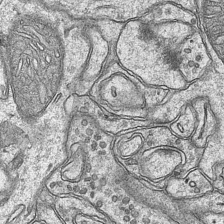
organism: Mouse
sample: CA1 Hippocampus